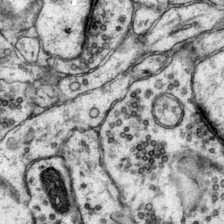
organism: Mouse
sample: Primary visual cortex